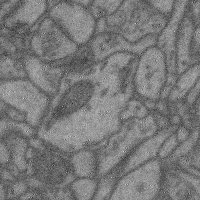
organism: Mouse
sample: Cerebral cortex